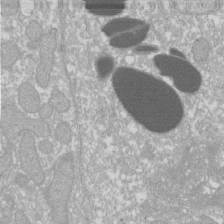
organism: Xenopus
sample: Cilia; centrioles in frog embryo cells